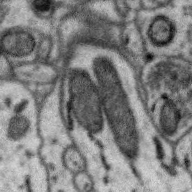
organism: Zebra finch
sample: Brain